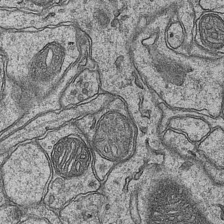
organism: Mouse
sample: CA1 Hippocampus